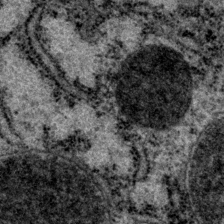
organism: P. pacificus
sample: Pharynx